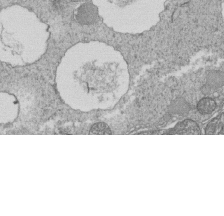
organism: Tetrahymena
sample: Cilia in tetrahymena